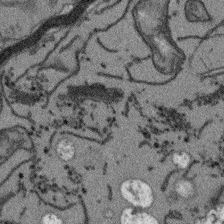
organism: Arabidopsis thaliana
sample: Root tip